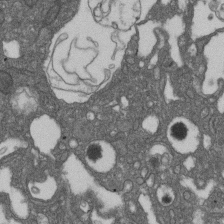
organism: Drosophila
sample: Nephrocyte